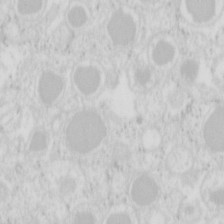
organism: Mouse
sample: Pancreas